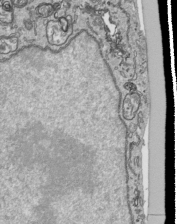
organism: Human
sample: Mitochondria in HCT116 cells